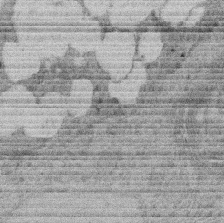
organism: Rat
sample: Salivary granule